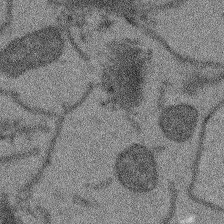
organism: Arabidopsis thaliana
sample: Root tip